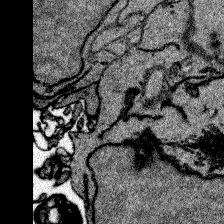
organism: Zebrafish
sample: Larval olfactory bulb